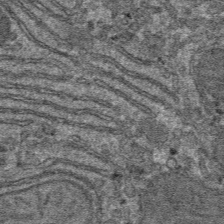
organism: Mouse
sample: Mouse hepatocytes